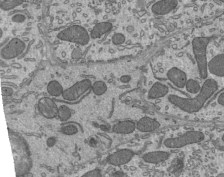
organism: Mouse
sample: Mouse epididymis efferent ductule cilia